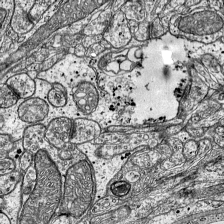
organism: Mouse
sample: Visual Cortex